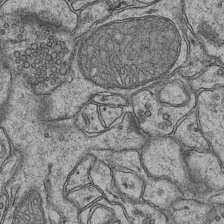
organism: Mouse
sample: CA1 Hippocampus